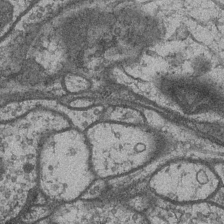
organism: Drosophila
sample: Optic medulla